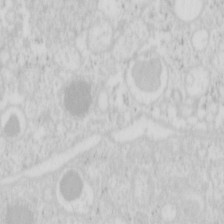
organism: Mouse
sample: Pancreas